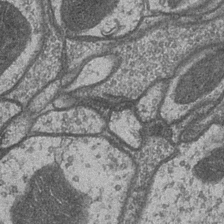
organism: Drosophila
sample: Optic medulla